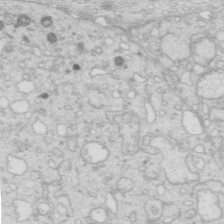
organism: Mouse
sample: Multiciliated cells